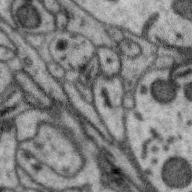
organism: Zebra finch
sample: Brain